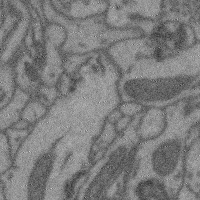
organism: Mouse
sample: Cerebral cortex